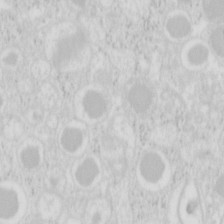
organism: Mouse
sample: Pancreas